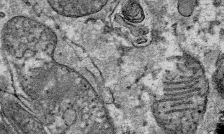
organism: Mouse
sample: Mouse Salivary gland